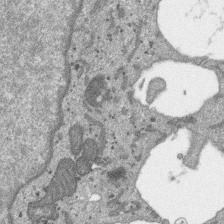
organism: Human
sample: Lung epithelial cells infected with SARS-CoV-2